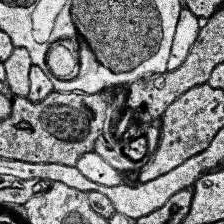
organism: Human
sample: Temporal Lobe